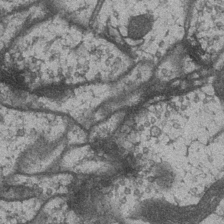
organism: Drosophila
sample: Optic medulla